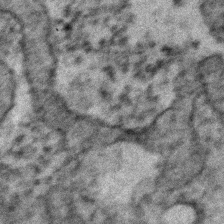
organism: Zebrafish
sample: Zebrafish embryo